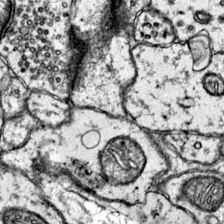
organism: Mouse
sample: Primary visual cortex